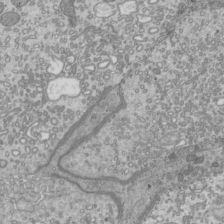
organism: Mouse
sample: Cilia; mouse epididymis